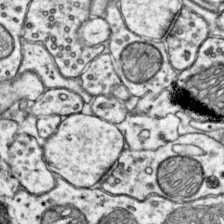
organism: Mouse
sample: Primary visual cortex